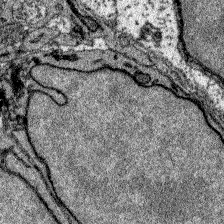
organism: Zebrafish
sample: Larval olfactory bulb